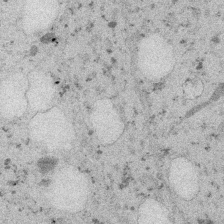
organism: Embia sp.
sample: Silk gland